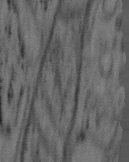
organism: Human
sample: HeLa cells